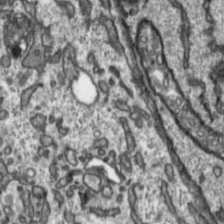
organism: Toxoplasma gondii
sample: Parasites in a vacuole inside a host cell